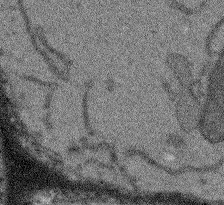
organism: Arabidopsis thaliana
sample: Root tip